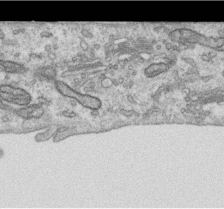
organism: Human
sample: Centriole in RPE cells